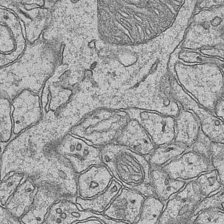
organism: Mouse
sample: CA1 Hippocampus